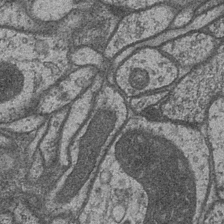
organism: Drosophila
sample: Optic medulla